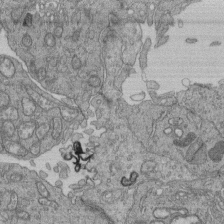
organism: Human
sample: Retinal organoid Rod and Cone cells